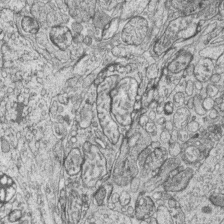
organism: Zebrafish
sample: synaptic ribbons in rod cells and cone cells